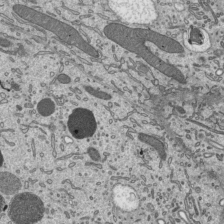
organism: Mouse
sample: Mouse epididymis efferent ductule cilia